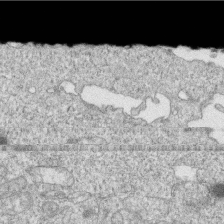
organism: Human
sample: HeLa cell HIV synapse